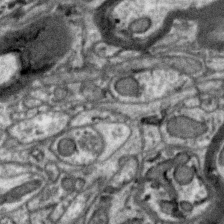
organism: Zebra finch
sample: Brain